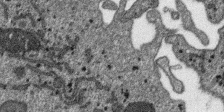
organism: Human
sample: Lung epithelial cells infected with SARS-CoV-2